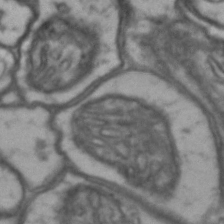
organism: Drosophila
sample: Brain